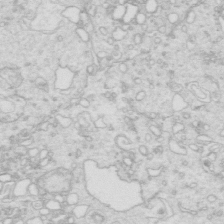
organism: Mouse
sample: Multiciliated cells